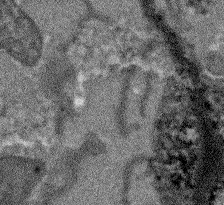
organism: Arabidopsis thaliana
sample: Root tip